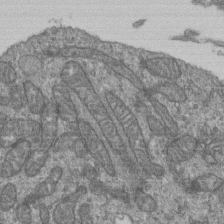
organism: Human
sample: Retinal organoid Rod and Cone cells